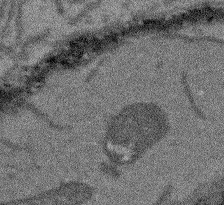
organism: Arabidopsis thaliana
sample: Root tip